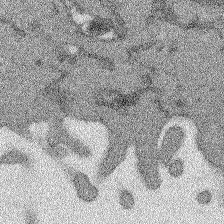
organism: Human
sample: HeLa cells